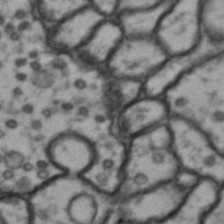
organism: Drosophila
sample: Brain